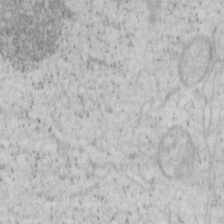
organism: Human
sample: HeLa cells